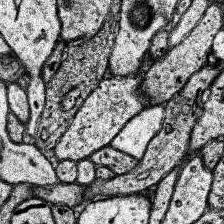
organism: Human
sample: Temporal Lobe